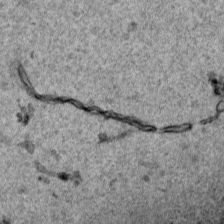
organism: Human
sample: Mitochondria in HCT116 cells